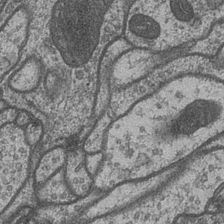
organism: Drosophila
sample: Optic medulla